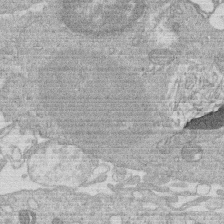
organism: Human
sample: Macrophage cells